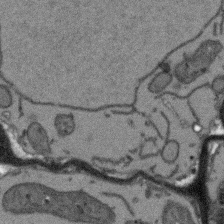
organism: Arabidopsis thaliana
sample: Root tip